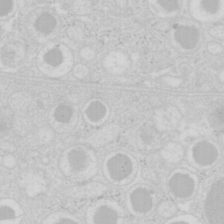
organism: Mouse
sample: Pancreas